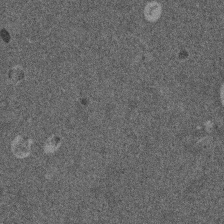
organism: Mouse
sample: Dividing mouse embryo 1 cell stage